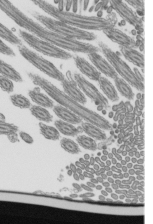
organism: Mouse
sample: Mouse epididymis efferent ductule cilia